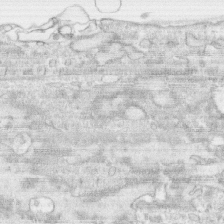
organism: Human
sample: CRL-1474